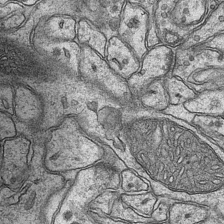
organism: Mouse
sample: CA1 Hippocampus